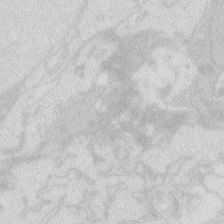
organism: Zebrafish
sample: Macrophage